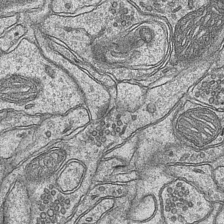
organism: Mouse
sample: CA1 Hippocampus